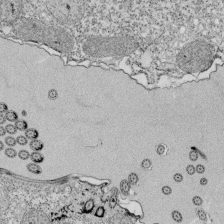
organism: Tetrahymena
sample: Cilia in tetrahymena